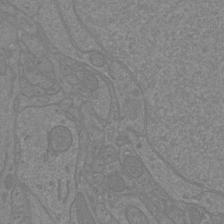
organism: Mouse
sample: Cortical neurons